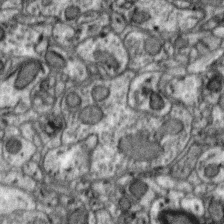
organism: Zebra finch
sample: Brain